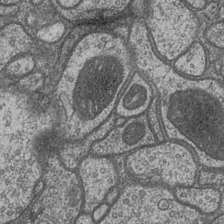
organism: Drosophila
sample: Optic medulla